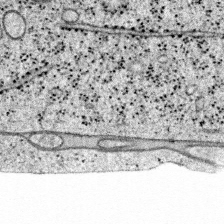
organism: Human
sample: HeLa cells